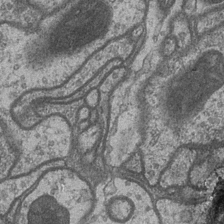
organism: Drosophila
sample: Optic medulla